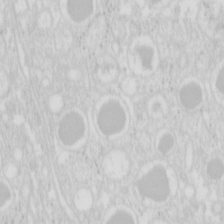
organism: Mouse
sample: Pancreas